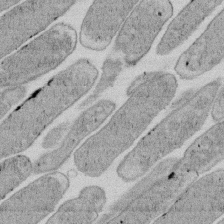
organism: E. coli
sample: Bacterial nucleoid